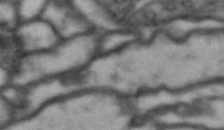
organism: Drosophila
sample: Brain